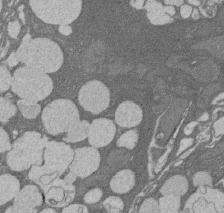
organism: Rat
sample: Salivary granule